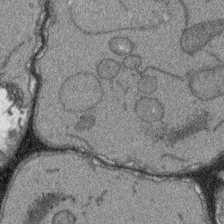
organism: Arabidopsis thaliana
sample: Root tip